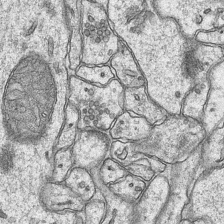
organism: Mouse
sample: CA1 Hippocampus